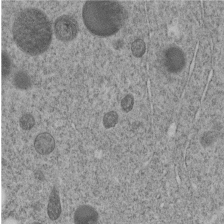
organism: C. elegans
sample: C. elegans embryo early stage